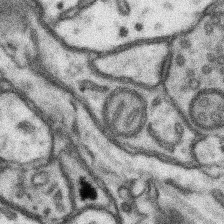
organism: Mouse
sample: Somatosensory cortex neuropil